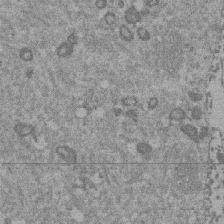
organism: Mouse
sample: Dividing mouse embryo 1 cell stage